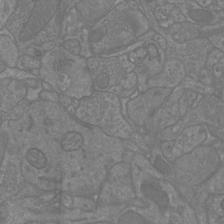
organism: Mouse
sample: Cortical neurons